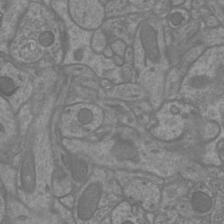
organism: Mouse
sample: Cortical neurons